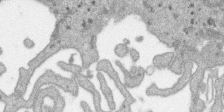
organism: Human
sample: Lung epithelial cells infected with SARS-CoV-2